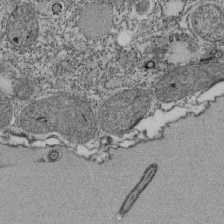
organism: Tetrahymena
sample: Cilia in tetrahymena